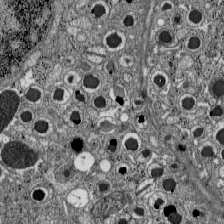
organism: C57BL Mouse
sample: Pancreatic islet